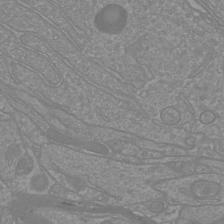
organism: Mouse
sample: Cortical neurons